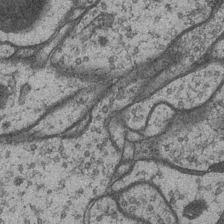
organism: Drosophila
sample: Optic medulla